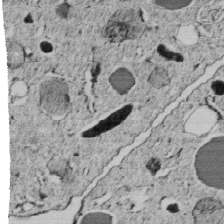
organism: C. elegans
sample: C. elegans embryo early stage